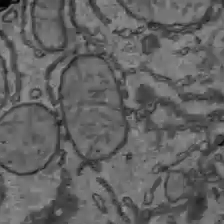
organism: C57BL Mouse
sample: Liver